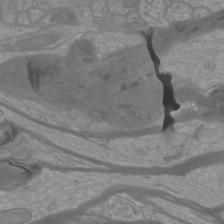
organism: Mouse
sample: Cortical neurons